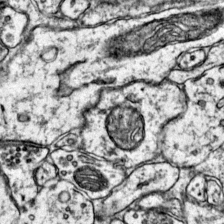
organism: Mouse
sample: Primary visual cortex